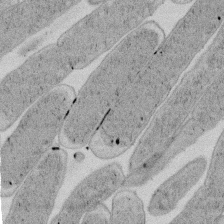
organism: E. coli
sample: Bacterial nucleoid